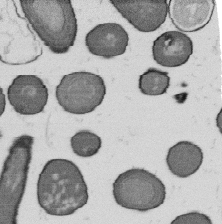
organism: B. subtilis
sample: Bacterial spore